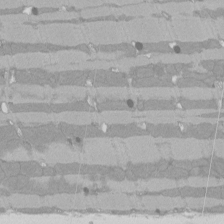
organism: Rat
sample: Left ventricle